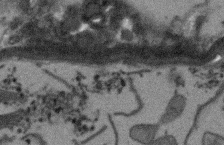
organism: Arabidopsis thaliana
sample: Root tip